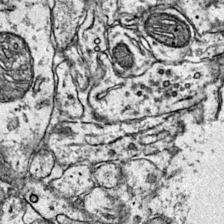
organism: Mouse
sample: Primary visual cortex